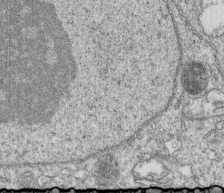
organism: Human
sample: HeLa cell HIV synapse